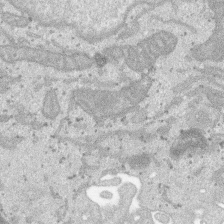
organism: Human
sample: Lung epithelial cells infected with SARS-CoV-2